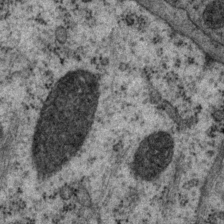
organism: P. pacificus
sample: Pharynx